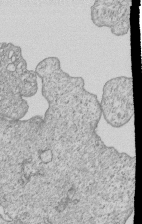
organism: Human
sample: MDA-MB-231 cells